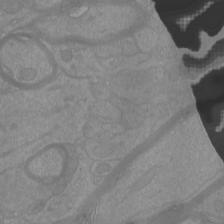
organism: Mouse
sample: Cortical neurons